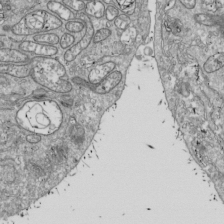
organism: Drosophila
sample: Cell division; meiosis; drosophila spermatocytes